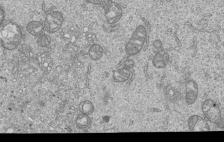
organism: Human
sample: MDA-MB-231 cells